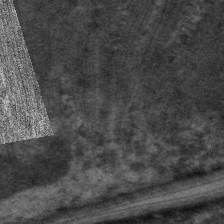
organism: C. elegans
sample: Pharynx